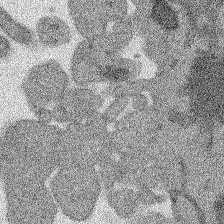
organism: Human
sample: HeLa cells